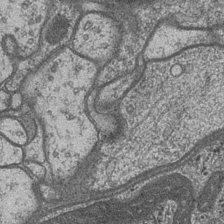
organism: Drosophila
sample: Optic medulla